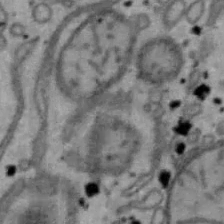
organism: Mouse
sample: Liver